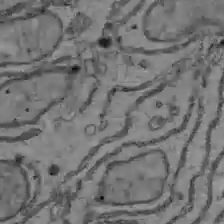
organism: C57BL Mouse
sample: Liver